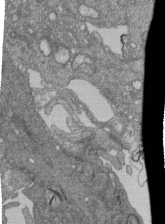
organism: Human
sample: Retinal organoid Rod and Cone cells